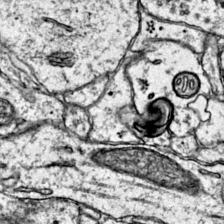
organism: Mouse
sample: Primary visual cortex